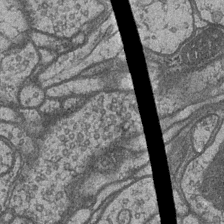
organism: Drosophila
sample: Optic medulla